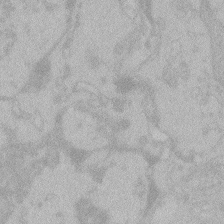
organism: Zebrafish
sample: Macrophage infected with Toxoplasma gondii